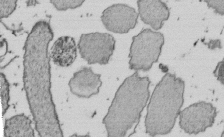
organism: E. coli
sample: Bacterial nucleoid